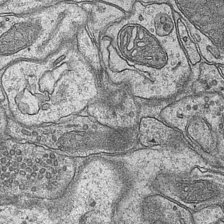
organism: Mouse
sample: CA1 Hippocampus